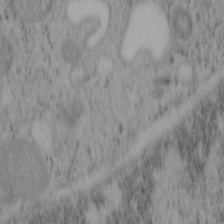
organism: Mouse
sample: OT-I killer T cells with ID8 ovarian cancer cells